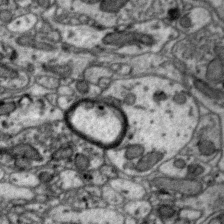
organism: Zebra finch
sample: Brain